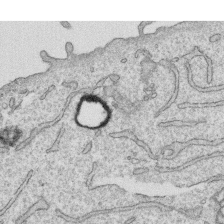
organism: Human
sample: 1205lu cells